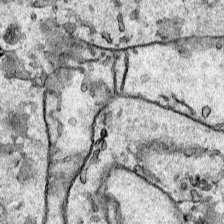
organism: Human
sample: Mitochondria in HCT116 cells